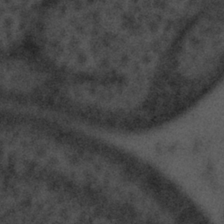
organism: Tuwongella immobilis